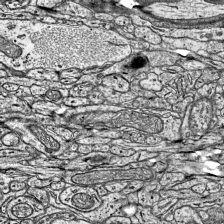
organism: Mouse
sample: Visual Cortex